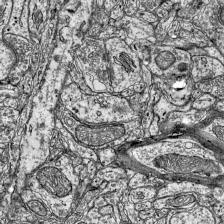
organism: Mouse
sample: Visual Cortex